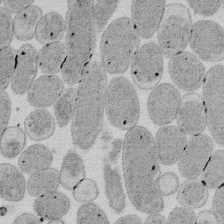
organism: E. coli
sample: Bacterial nucleoid